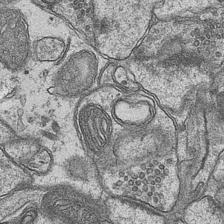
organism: Mouse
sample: CA1 Hippocampus